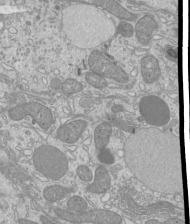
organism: Mouse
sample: Cilia; mouse epididymis